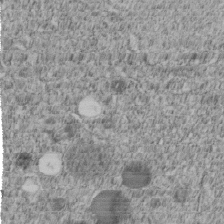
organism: C. elegans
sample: C. elegans embryo early stage